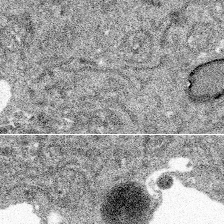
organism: Spongilla lacustris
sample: Multiple